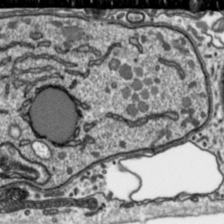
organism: Toxoplasma gondii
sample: Parasites in a vacuole inside a host cell